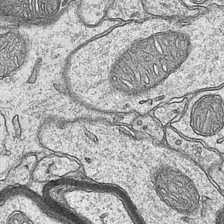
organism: Mouse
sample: CA1 Hippocampus